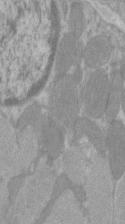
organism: C57BL Mouse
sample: Tibialis anterior muscle cell